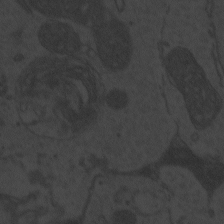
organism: Zebrafish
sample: Macrophage infected with Toxoplasma gondii